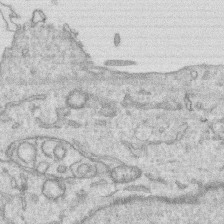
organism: Human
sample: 1205lu cells